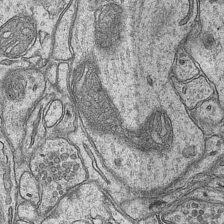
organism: Mouse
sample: CA1 Hippocampus